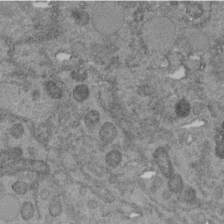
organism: C. elegans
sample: C. elegans embryo early stage